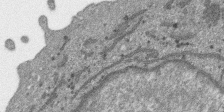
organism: Human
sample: Lung epithelial cells infected with SARS-CoV-2